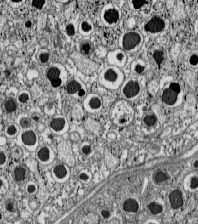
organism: C57BL Mouse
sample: Pancreatic islet